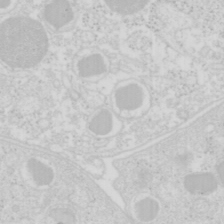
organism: Mouse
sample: Pancreas